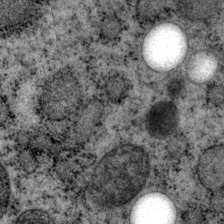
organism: P. pacificus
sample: Pharynx